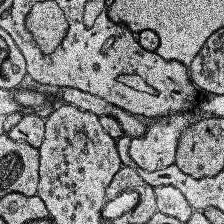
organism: Human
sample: Temporal Lobe